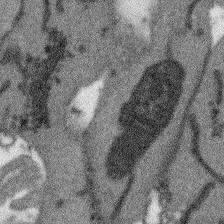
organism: Arabidopsis thaliana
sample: Root tip